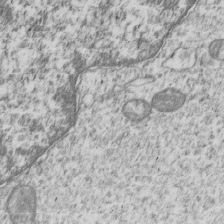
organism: Human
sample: MDA-MB-231 cells